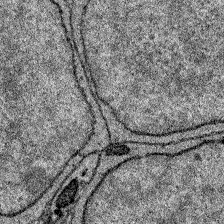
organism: Zebrafish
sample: Larval olfactory bulb